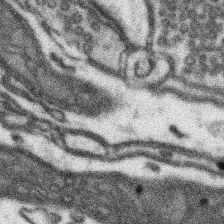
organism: Mouse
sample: Somatosensory cortex neuropil